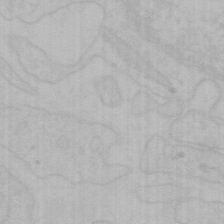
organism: Mouse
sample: Choroid plexus